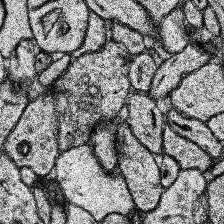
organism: Human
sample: Temporal Lobe